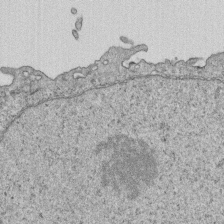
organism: Human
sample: HeLa cell HIV synapse